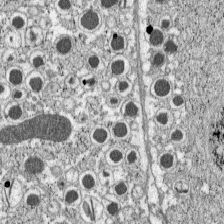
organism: C57BL Mouse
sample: Pancreatic islet